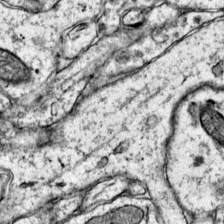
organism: Mouse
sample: Primary visual cortex